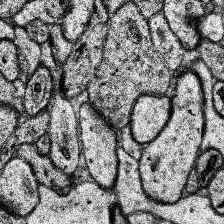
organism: Human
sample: Temporal Lobe